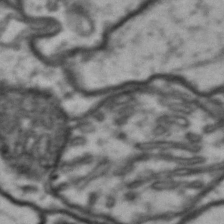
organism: Drosophila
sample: Brain